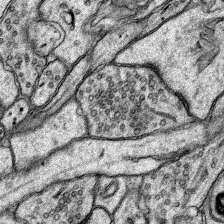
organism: Rat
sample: Hippocampus